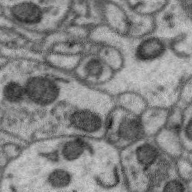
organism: Zebra finch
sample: Brain